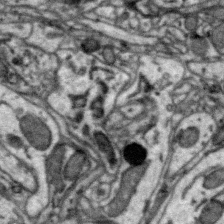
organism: Zebra finch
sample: Brain